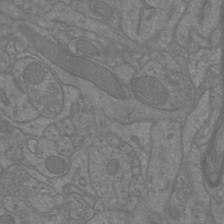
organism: Mouse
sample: Cortical neurons